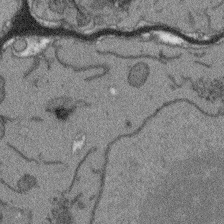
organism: Arabidopsis thaliana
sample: Root tip